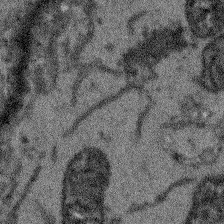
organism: Arabidopsis thaliana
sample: Root tip